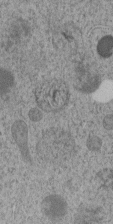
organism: C. elegans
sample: C. elegans embryo early stage